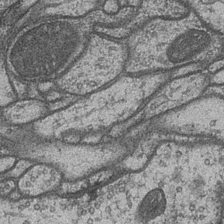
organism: Drosophila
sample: Optic medulla